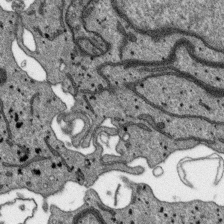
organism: Human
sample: Lung epithelial cells, uninfected (mock) control